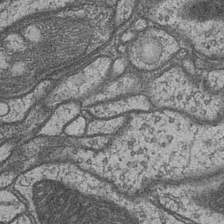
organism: Drosophila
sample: Optic medulla